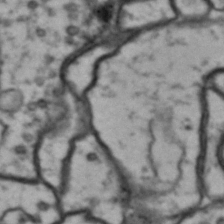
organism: Drosophila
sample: Brain